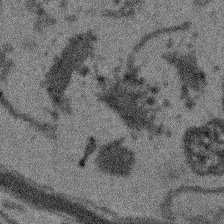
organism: Arabidopsis thaliana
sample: Root tip